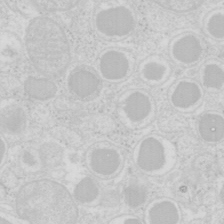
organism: Mouse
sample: Pancreas